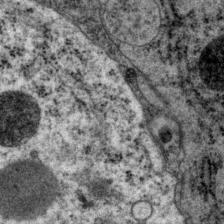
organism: P. pacificus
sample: Pharynx